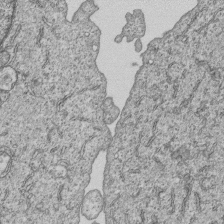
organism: Human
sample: MDA-MB-231 cells